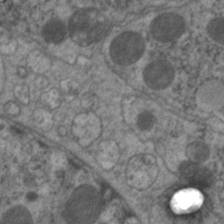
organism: C. elegans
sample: Pharynx